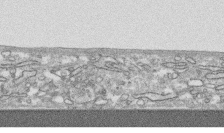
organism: Human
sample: CRL-1474